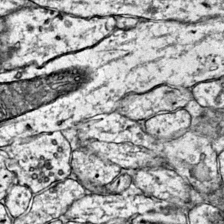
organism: Mouse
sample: Primary visual cortex